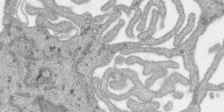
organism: Human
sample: Lung epithelial cells infected with SARS-CoV-2